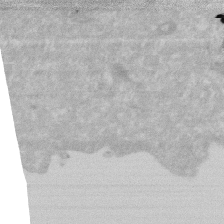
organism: Human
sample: HIV infected U937 cells